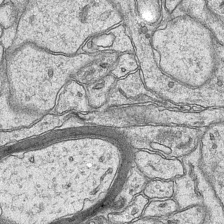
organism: Mouse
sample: CA1 Hippocampus